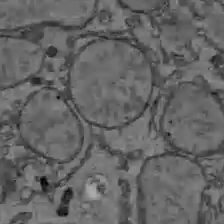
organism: C57BL Mouse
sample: Liver